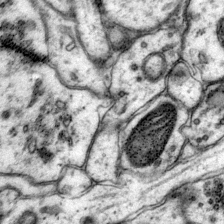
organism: Mouse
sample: Primary visual cortex